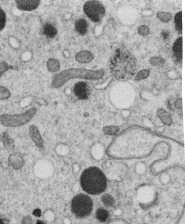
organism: C. elegans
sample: C. elegans oocyte; sperm cells